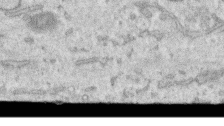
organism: Human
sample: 1205lu cells